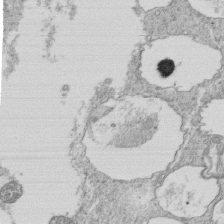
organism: Tetrahymena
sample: Cilia in tetrahymena